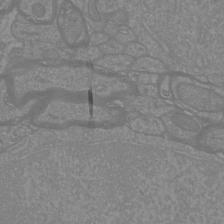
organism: Mouse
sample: Cortical neurons